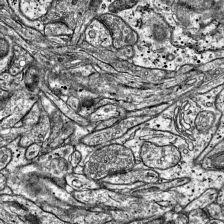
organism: Mouse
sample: Visual Cortex